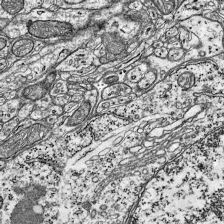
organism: Mouse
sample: Visual Cortex